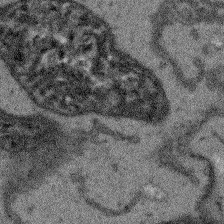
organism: Arabidopsis thaliana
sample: Root tip